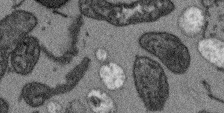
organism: Arabidopsis thaliana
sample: Root tip